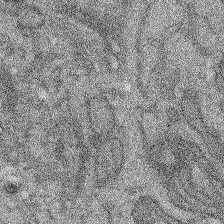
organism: Human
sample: HeLa cells